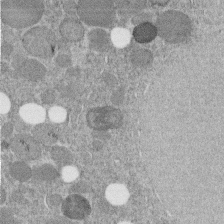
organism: C. elegans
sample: C. elegans embryo early stage